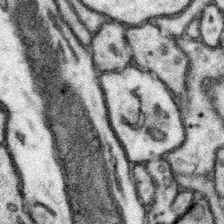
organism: Mouse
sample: Somatosensory cortex neuropil